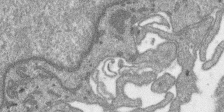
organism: Human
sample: Lung epithelial cells infected with SARS-CoV-2